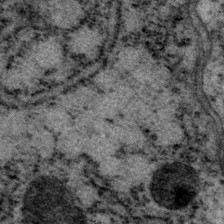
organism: P. pacificus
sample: Pharynx